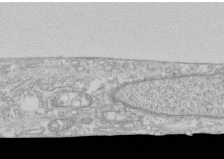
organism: Human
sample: CRL-1474